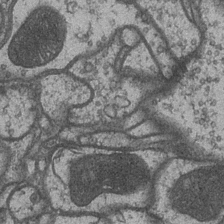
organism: Drosophila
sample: Optic medulla